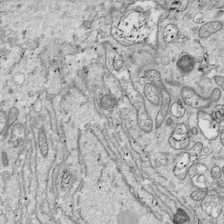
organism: Drosophila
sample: Cell division; meiosis; drosophila spermatocytes